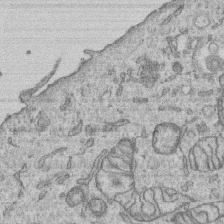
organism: Human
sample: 1205lu cells